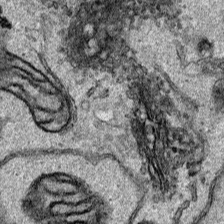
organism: Human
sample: Mitochondria in HCT116 cells